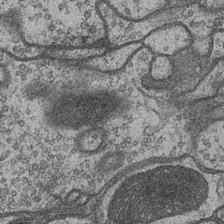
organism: Drosophila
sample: Optic medulla